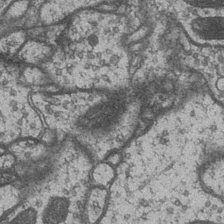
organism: Drosophila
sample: Optic medulla